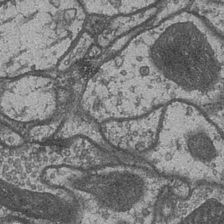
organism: Drosophila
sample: Optic medulla